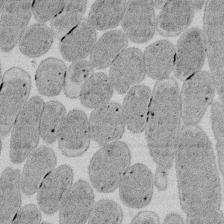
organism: E. coli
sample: Bacterial nucleoid